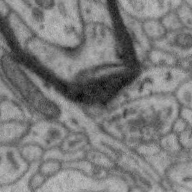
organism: Zebra finch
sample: Brain